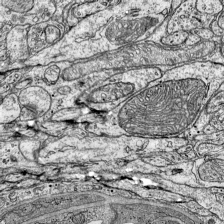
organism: Mouse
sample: Visual Cortex